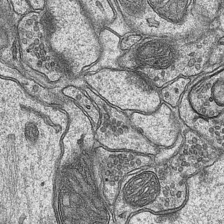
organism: Mouse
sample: CA1 Hippocampus